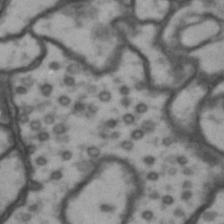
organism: Drosophila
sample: Brain